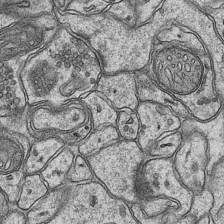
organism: Mouse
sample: CA1 Hippocampus